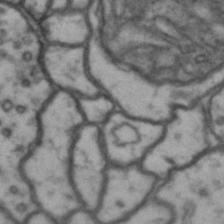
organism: Drosophila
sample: Brain